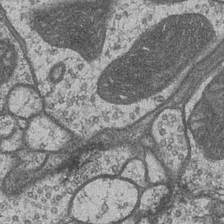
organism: Drosophila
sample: Optic medulla